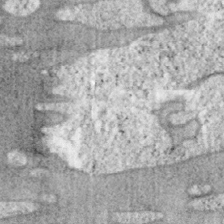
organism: Mouse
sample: OT-I killer T cells with ID8 ovarian cancer cells